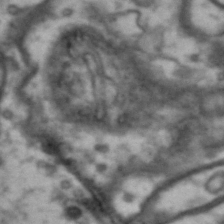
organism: Drosophila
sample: Brain